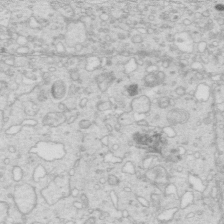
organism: Mouse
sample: Multiciliated cells